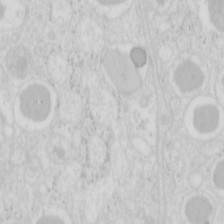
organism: Mouse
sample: Pancreas